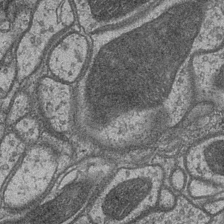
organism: Drosophila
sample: Optic medulla